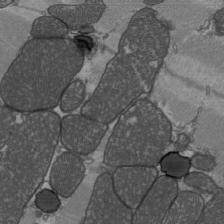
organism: C57BL Mouse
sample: Heart